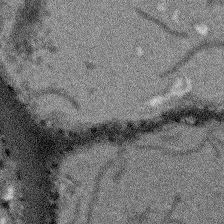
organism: Arabidopsis thaliana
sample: Root tip